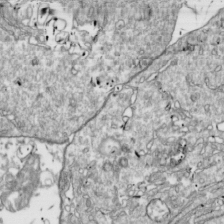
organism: Drosophila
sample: Cell division; meiosis; drosophila spermatocytes